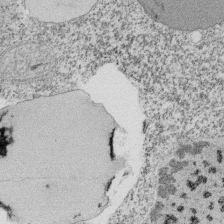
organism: Tetrahymena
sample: Cilia in tetrahymena